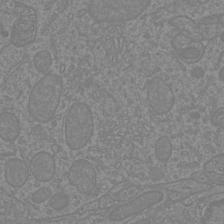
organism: Mouse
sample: Cortical neurons